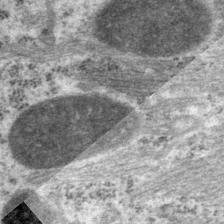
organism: P. pacificus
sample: Pharynx